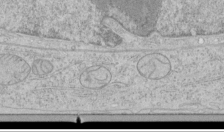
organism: Human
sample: Mitochondria in HCT116 cells